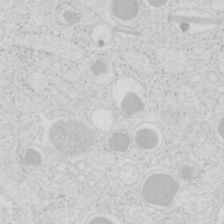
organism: Mouse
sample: Pancreas